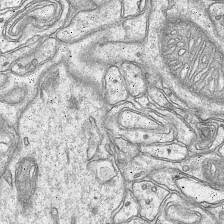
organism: Mouse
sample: CA1 Hippocampus